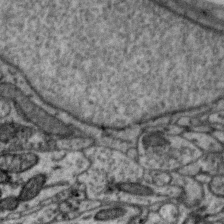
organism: Zebra finch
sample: Brain